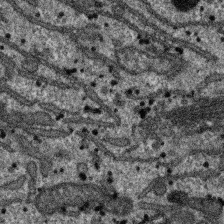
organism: Human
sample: Lung epithelial cells infected with SARS-CoV-2